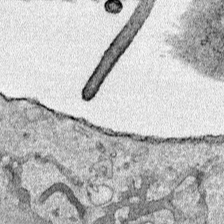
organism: Human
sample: Mitochondria in HCT116 cells